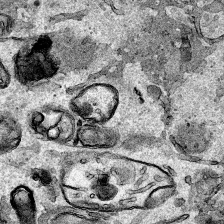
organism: Human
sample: Mitochondria in HCT116 cells